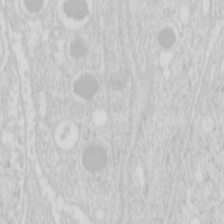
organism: Mouse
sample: Pancreas